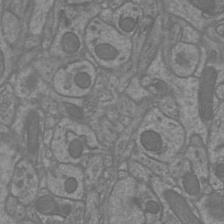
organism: Mouse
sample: Cortical neurons